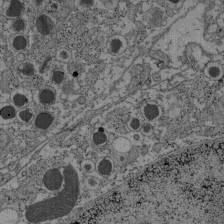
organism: C57BL Mouse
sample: Pancreatic islet